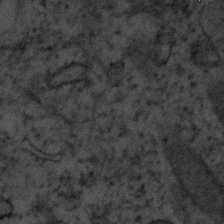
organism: Human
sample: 1205lu cells